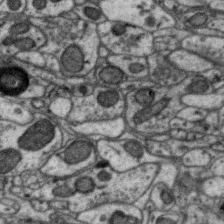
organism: Zebra finch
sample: Brain